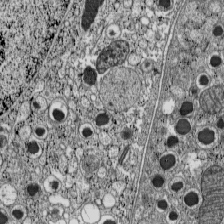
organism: C57BL Mouse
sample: Pancreatic islet